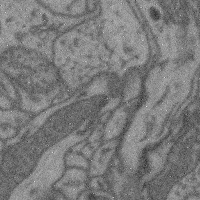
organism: Mouse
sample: Cerebral cortex